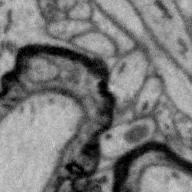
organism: Zebra finch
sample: Brain